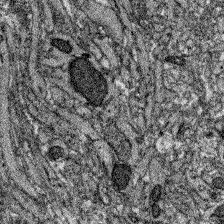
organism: Zebrafish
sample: Larval olfactory bulb